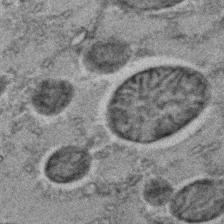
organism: C. elegans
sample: C. elegans embryo